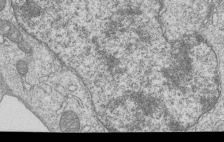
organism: Human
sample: MDA-MB-231 cells